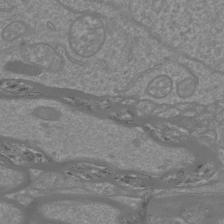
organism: Mouse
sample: Cortical neurons